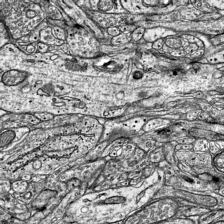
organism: Mouse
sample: Visual Cortex